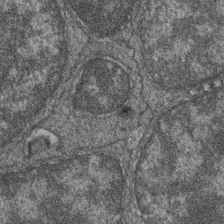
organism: Zebrafish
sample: Cilia; retinal pigment epithelium